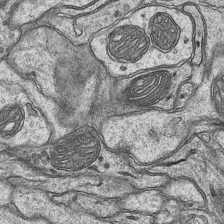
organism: Mouse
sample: CA1 Hippocampus